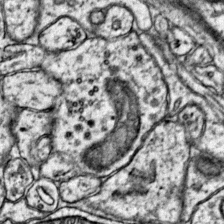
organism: Mouse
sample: Primary visual cortex